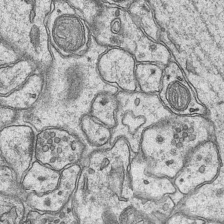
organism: Mouse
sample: CA1 Hippocampus